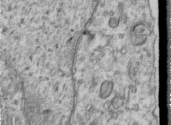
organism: Human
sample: Centriole in RPE cells